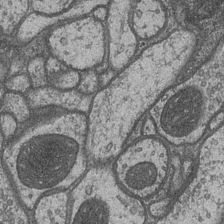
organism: Drosophila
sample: Optic medulla